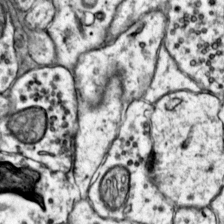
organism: Mouse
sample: Primary visual cortex